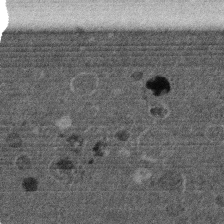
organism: Mouse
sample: Dividing mouse embryo 1 cell stage